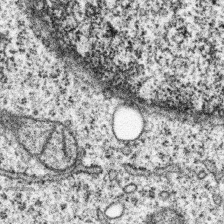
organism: Human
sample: HeLa cells